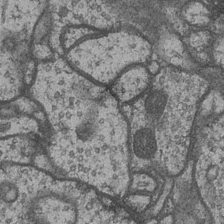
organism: Drosophila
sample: Optic medulla